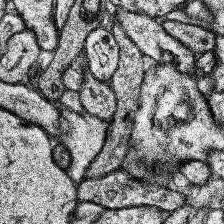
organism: Human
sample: Temporal Lobe